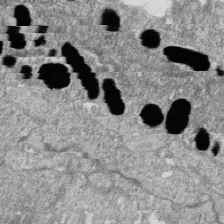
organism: Zebrafish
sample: Cilia; retinal pigment epithelium